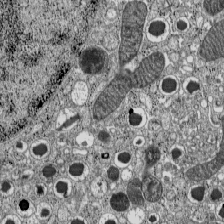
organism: C57BL Mouse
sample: Pancreatic islet